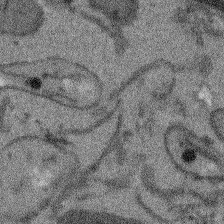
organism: Arabidopsis thaliana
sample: Root tip